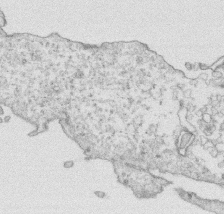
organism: Human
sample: HeLa cell HIV synapse